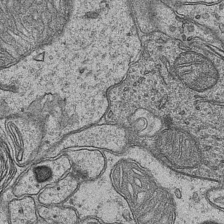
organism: Mouse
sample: CA1 Hippocampus